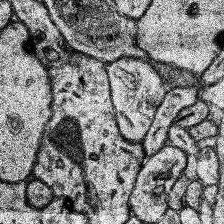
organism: Human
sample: Temporal Lobe